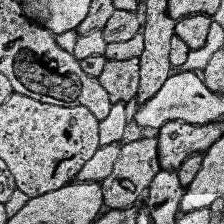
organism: Human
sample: Temporal Lobe